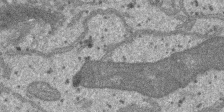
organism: Human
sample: Lung epithelial cells infected with SARS-CoV-2